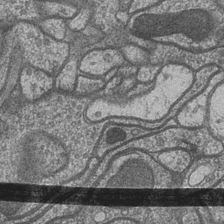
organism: Drosophila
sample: Optic medulla